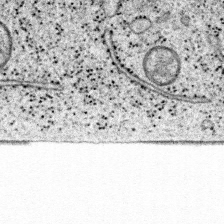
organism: Human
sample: HeLa cells